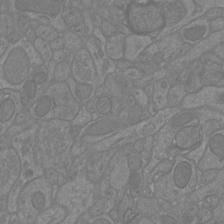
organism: Mouse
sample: Cortical neurons